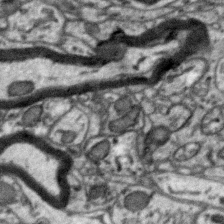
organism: Zebra finch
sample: Brain